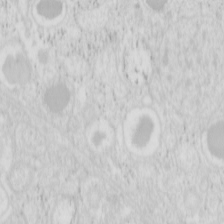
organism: Mouse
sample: Pancreas